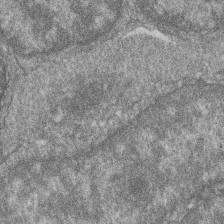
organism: Zebrafish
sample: Cilia; retinal pigment epithelium